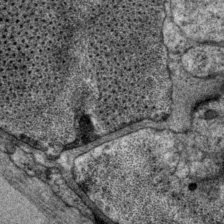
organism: P. pacificus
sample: Pharynx